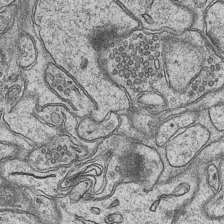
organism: Mouse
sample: CA1 Hippocampus